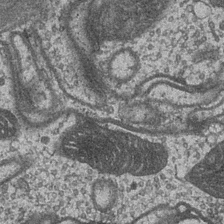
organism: Drosophila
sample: Optic medulla